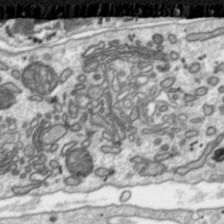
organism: Toxoplasma gondii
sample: Parasites in a vacuole inside a host cell